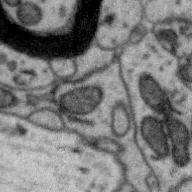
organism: Zebra finch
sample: Brain